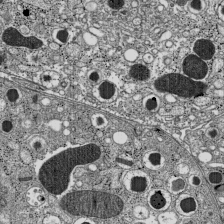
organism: C57BL Mouse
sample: Pancreatic islet